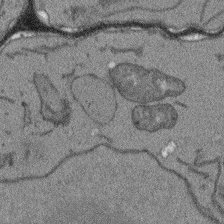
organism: Arabidopsis thaliana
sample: Root tip